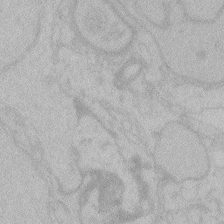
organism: Zebrafish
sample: Macrophage infected with Toxoplasma gondii